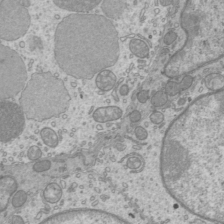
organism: Mouse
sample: Cilia; mouse epididymis